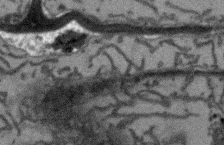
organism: Arabidopsis thaliana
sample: Root tip